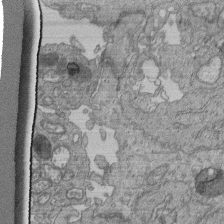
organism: Human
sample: Retinal organoid Rod and Cone cells